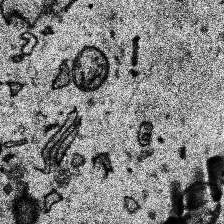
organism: Human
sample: Temporal Lobe